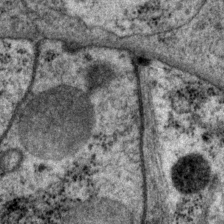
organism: P. pacificus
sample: Pharynx